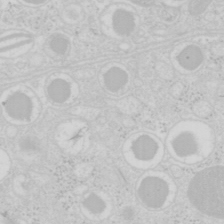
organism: Mouse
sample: Pancreas